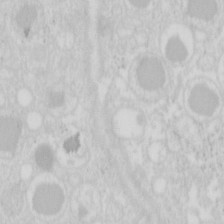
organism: Mouse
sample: Pancreas